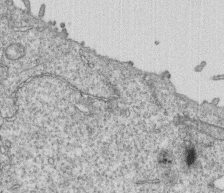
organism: Human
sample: HeLa cell HIV synapse